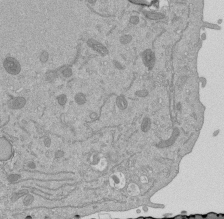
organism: Mouse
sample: ED-1 cell nuclei; centrioles